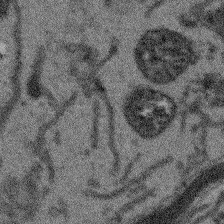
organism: Arabidopsis thaliana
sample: Root tip